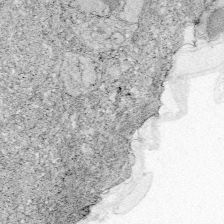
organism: Zebrafish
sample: Whole-Brain